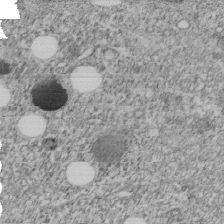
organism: C. elegans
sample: C. elegans embryo early stage